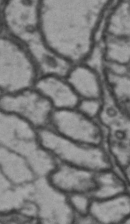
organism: Drosophila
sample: Brain